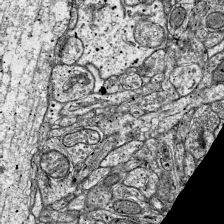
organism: Mouse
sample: Visual Cortex